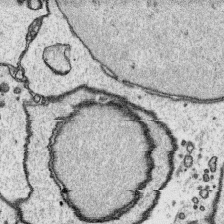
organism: Platynereis dumerilii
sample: Parapodia